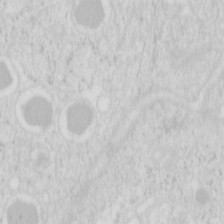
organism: Mouse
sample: Pancreas